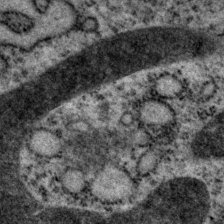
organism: P. pacificus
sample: Pharynx